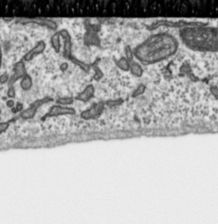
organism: Toxoplasma gondii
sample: Parasites in a vacuole inside a host cell